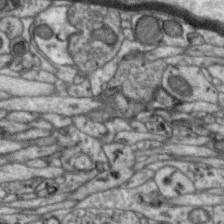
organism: Zebra finch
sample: Brain